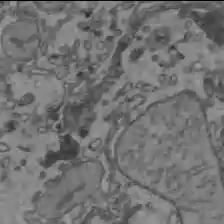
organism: C57BL Mouse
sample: Liver